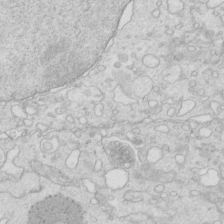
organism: Mouse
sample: Multiciliated cells